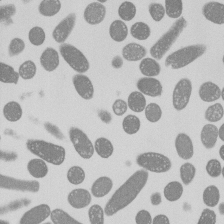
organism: E. coli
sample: Bacterial nucleoid